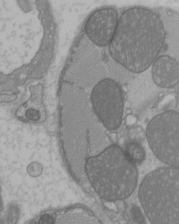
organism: C57BL Mouse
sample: Heart